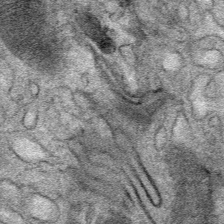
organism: Mouse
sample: Mouse Salivary gland